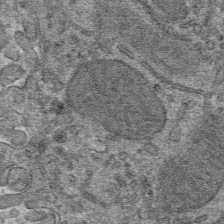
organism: Mouse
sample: Mouse hepatocytes